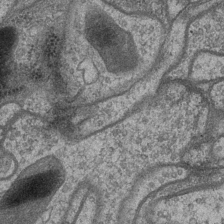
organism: Drosophila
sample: Optic medulla